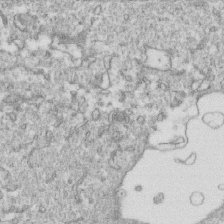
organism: Mouse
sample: Activated OT-1 CD8+ T cells